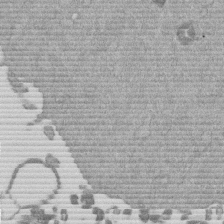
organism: Mouse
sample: Dividing mouse embryo 1 cell stage